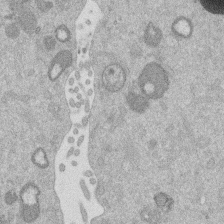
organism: Mouse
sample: Dividing mouse embryo 1 cell stage